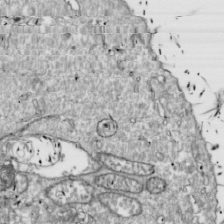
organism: Drosophila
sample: Cell division; meiosis; drosophila spermatocytes